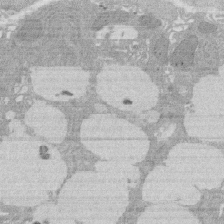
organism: Rat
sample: Salivary granule